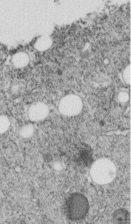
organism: C. elegans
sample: C. elegans embryo early stage